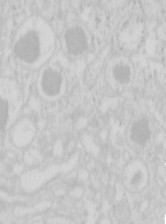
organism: Mouse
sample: Pancreas